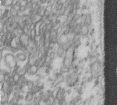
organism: Human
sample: Centriole in fibroblast cells